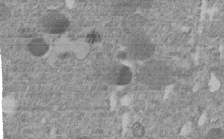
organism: C. elegans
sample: C. elegans embryo early stage